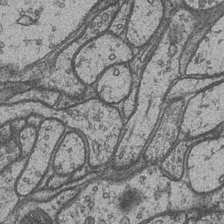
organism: Drosophila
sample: Optic medulla